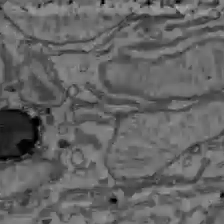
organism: C57BL Mouse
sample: Liver